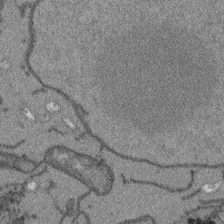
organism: Arabidopsis thaliana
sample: Root tip